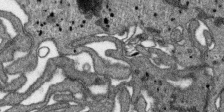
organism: Human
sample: Lung epithelial cells, uninfected (mock) control